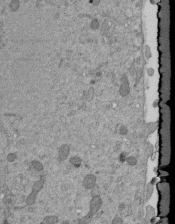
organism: Mouse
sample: ED-1 cell nuclei; centrioles